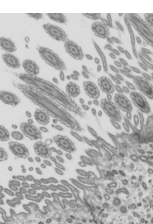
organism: Mouse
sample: Mouse epididymis efferent ductule cilia